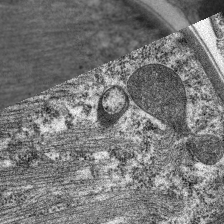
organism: C. elegans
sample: Pharynx